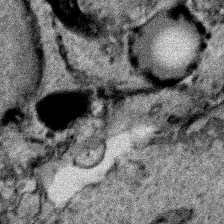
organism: Human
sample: Mitochondria in HCT116 cells